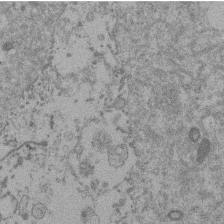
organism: Mouse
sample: Dividing mouse embryo 1 cell stage